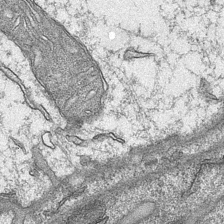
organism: Mouse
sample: CA1 Hippocampus